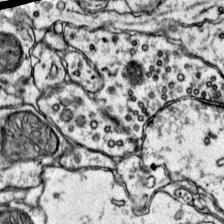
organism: Mouse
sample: Primary visual cortex